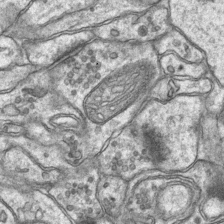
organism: Mouse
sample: CA1 Hippocampus